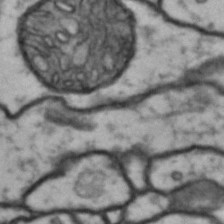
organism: Drosophila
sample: Brain